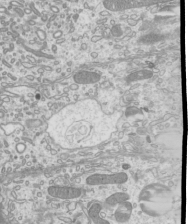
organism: Mouse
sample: Cilia; mouse epididymis